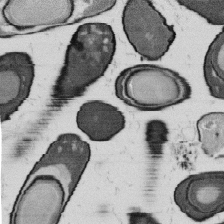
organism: B. subtilis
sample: Bacterial spore